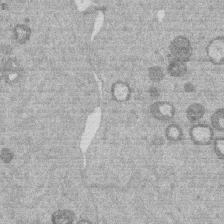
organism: Mouse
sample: Dividing mouse embryo 1 cell stage